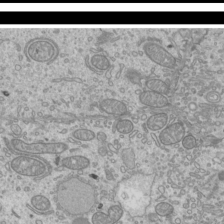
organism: Mouse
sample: Cilia; mouse epididymis